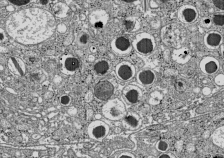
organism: C57BL Mouse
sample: Pancreatic islet